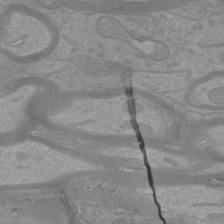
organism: Mouse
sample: Cortical neurons